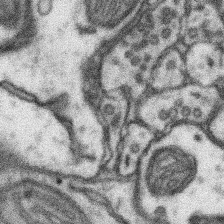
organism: Mouse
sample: Somatosensory cortex neuropil